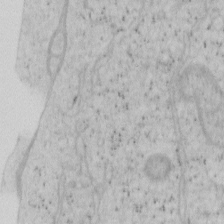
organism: Human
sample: HeLa cells